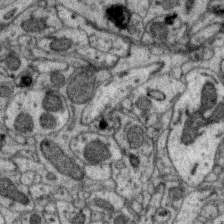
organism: Zebra finch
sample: Brain